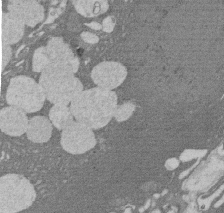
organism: Rat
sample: Salivary granule